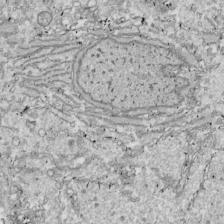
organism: Drosophila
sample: Cell division; meiosis; drosophila spermatocytes